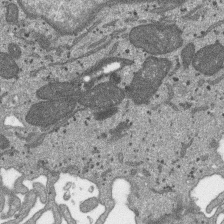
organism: Human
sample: Lung epithelial cells infected with SARS-CoV-2